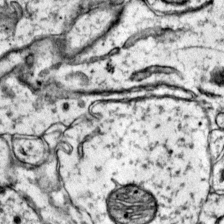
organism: Mouse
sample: Primary visual cortex